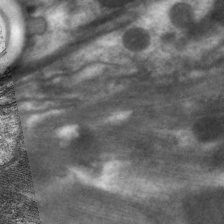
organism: C. elegans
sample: Pharynx